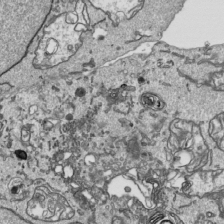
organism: Human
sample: Mitochondria in HCT116 cells